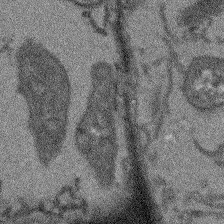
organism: Arabidopsis thaliana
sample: Root tip